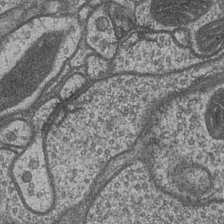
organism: Drosophila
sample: Optic medulla